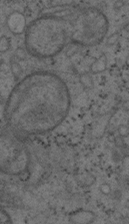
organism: Human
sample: HeLa cells